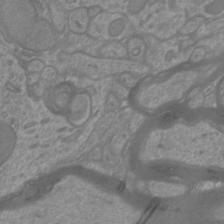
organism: Mouse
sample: Cortical neurons